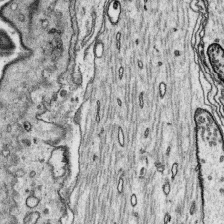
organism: Platynereis dumerilii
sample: Parapodia